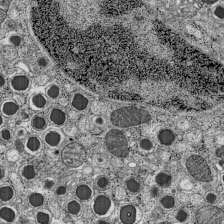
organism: C57BL Mouse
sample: Pancreatic islet